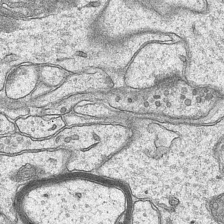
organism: Mouse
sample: CA1 Hippocampus